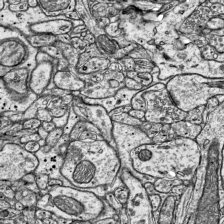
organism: Mouse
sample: Visual Cortex